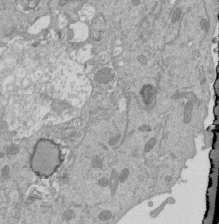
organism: Mouse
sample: ED-1 cell nuclei; centrioles